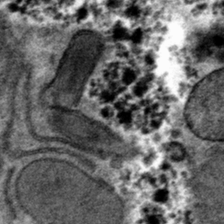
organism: Mouse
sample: Mouse hepatocytes